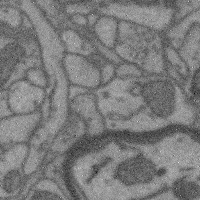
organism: Mouse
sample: Cerebral cortex